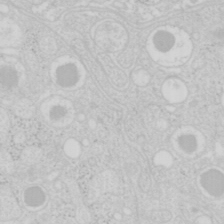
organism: Mouse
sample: Pancreas